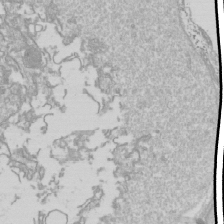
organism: Drosophila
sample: Cell division; meiosis; drosophila spermatocytes